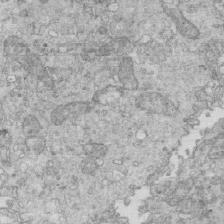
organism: Mouse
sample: Multiciliated cells